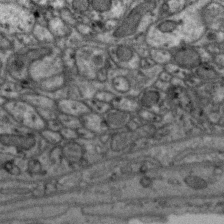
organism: Zebra finch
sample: Brain